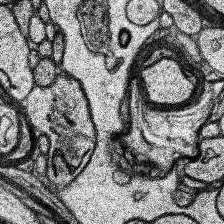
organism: Human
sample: Temporal Lobe